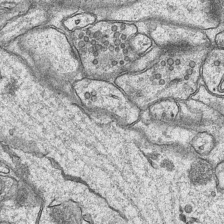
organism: Mouse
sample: CA1 Hippocampus